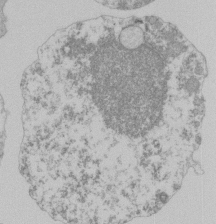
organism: Mouse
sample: Activated Pmel transgenic CD8+ T Cells